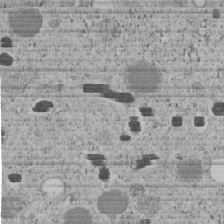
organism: C. elegans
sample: C. elegans embryo early stage